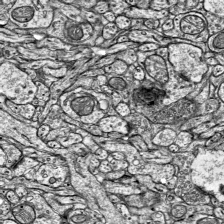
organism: Mouse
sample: Visual Cortex